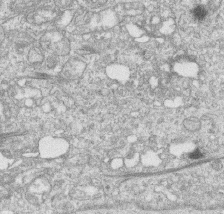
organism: Human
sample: HeLa cell HIV synapse